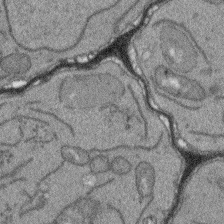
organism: Arabidopsis thaliana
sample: Root tip